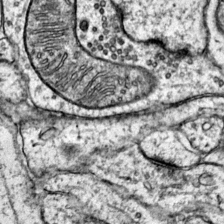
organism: Mouse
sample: Primary visual cortex